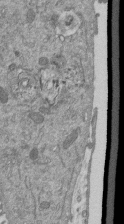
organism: Mouse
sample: ED-1 cell nuclei; centrioles